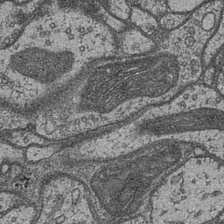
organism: Drosophila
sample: Optic medulla